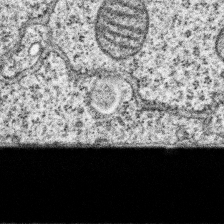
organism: Human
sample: HeLa cells